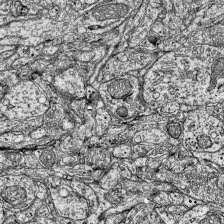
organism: Mouse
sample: Visual Cortex